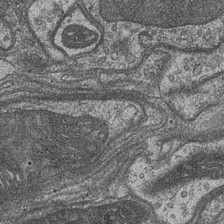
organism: Drosophila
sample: Optic medulla